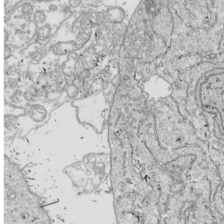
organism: Drosophila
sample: Cell division; meiosis; drosophila spermatocytes